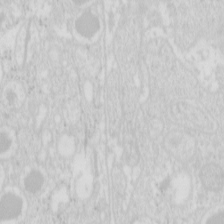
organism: Mouse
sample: Pancreas